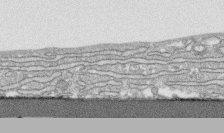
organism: Human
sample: CRL-1474